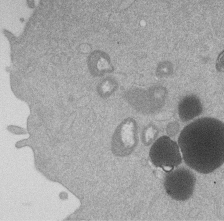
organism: Mouse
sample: Dividing mouse embryo 1 cell stage